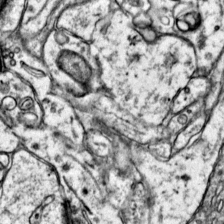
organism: Mouse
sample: Primary visual cortex